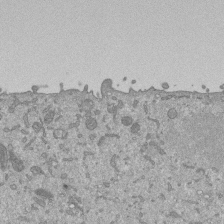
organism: Mouse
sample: ED-1 cell nuclei; centrioles